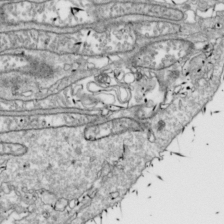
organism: Drosophila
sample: Cell division; meiosis; drosophila spermatocytes